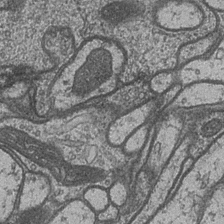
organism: Drosophila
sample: Optic medulla